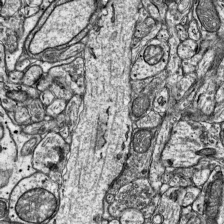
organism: Mouse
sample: Visual Cortex